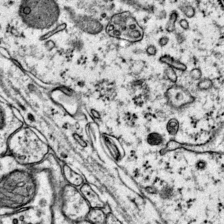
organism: Mouse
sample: Primary visual cortex